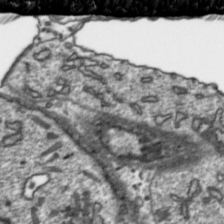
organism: Toxoplasma gondii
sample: Parasites in a vacuole inside a host cell